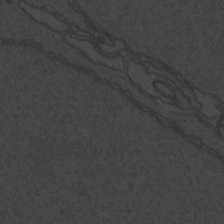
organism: Zebrafish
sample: Macrophage infected with Toxoplasma gondii